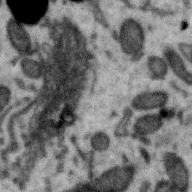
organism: Zebra finch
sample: Brain